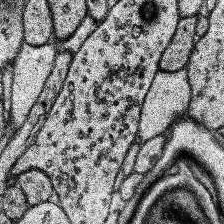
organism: Human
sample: Temporal Lobe